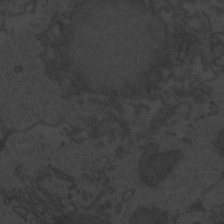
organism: Zebrafish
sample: Macrophage infected with Toxoplasma gondii